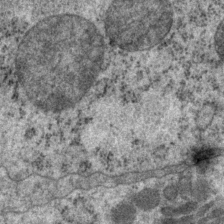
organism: P. pacificus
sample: Pharynx